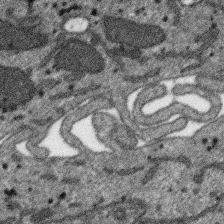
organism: Human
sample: Lung epithelial cells infected with SARS-CoV-2